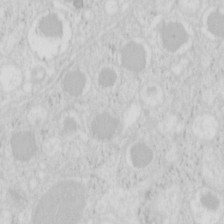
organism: Mouse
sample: Pancreas